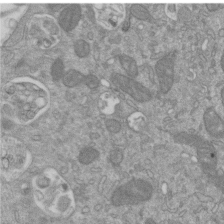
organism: Mouse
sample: ED-1 cell nuclei; centrioles